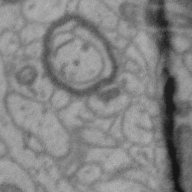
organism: Zebra finch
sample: Brain